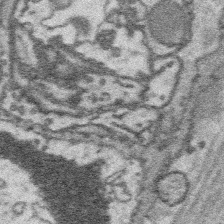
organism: Platynereis dumerilii